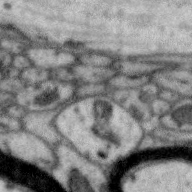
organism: Zebra finch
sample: Brain